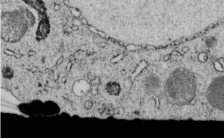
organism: C. elegans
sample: C. elegans embryo early stage